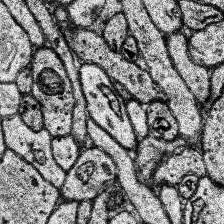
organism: Human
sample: Temporal Lobe